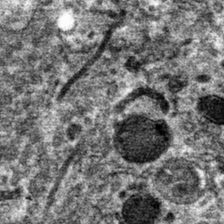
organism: Mouse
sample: Mouse hepatocytes